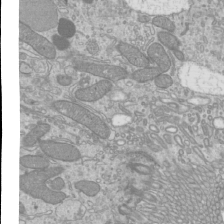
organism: Mouse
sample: Cilia; mouse epididymis